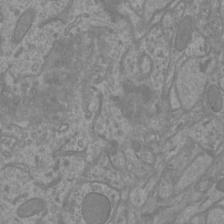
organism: Mouse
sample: Cortical neurons